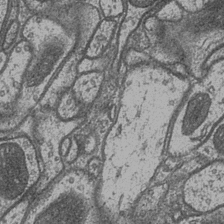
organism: Drosophila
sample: Optic medulla